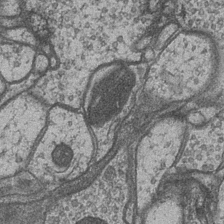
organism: Drosophila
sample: Optic medulla